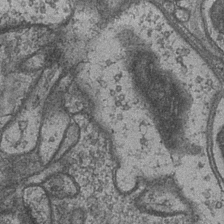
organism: Drosophila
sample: Optic medulla